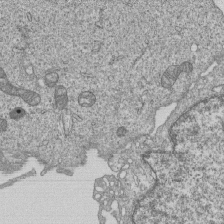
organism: Human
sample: MDA-MB-231 cells